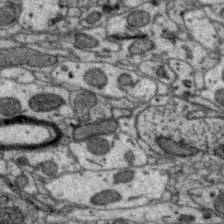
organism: Zebra finch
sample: Brain